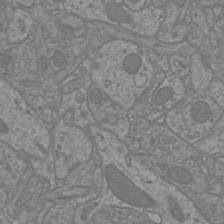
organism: Mouse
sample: Cortical neurons